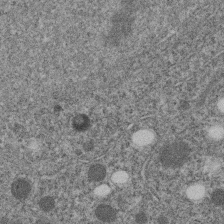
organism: C. elegans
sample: C. elegans embryo early stage